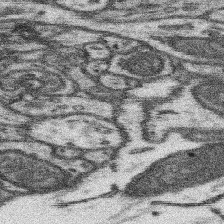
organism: Mouse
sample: Somatosensory cortex neuropil